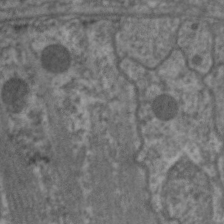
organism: C. elegans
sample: Pharynx